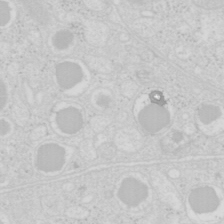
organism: Mouse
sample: Pancreas